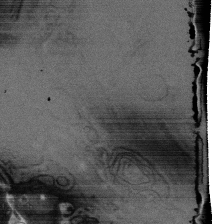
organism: Rat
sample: Salivary granule